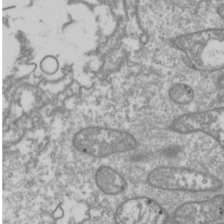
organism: Drosophila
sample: Cell division; meiosis; drosophila spermatocytes